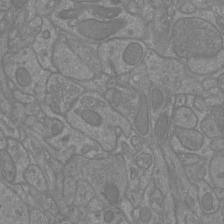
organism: Mouse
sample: Cortical neurons